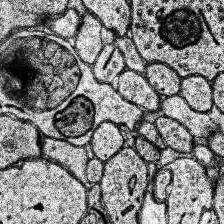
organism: Human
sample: Temporal Lobe